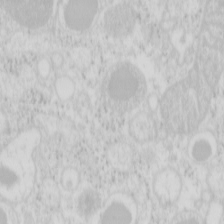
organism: Mouse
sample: Pancreas